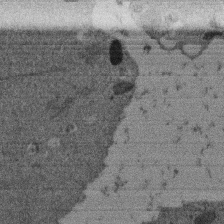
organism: Mouse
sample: Dividing mouse embryo 1 cell stage